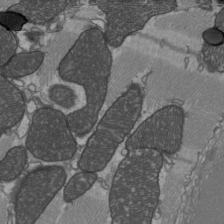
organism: C57BL Mouse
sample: Heart